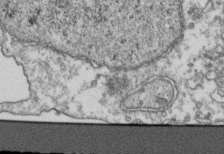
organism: Human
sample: Activated Jurkat CD4+ T cells